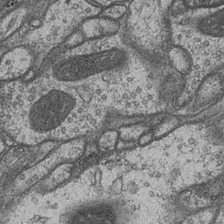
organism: Drosophila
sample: Optic medulla